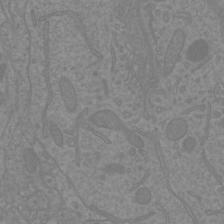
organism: Mouse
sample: Cortical neurons